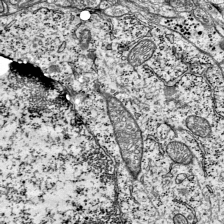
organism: Mouse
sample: Visual Cortex